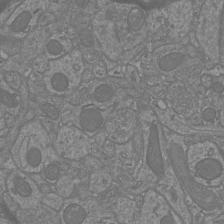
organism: Mouse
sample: Cortical neurons